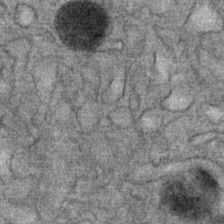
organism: Mouse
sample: Mouse Salivary gland